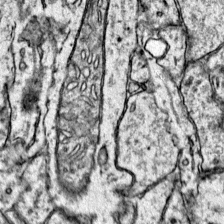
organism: Mouse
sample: Primary visual cortex